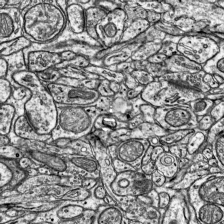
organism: Mouse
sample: Visual Cortex